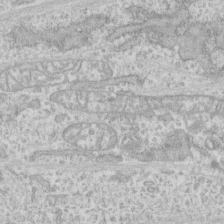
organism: Human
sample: CRL-1474